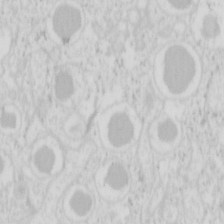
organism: Mouse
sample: Pancreas